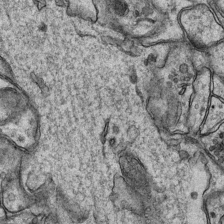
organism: Mouse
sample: CA1 Hippocampus